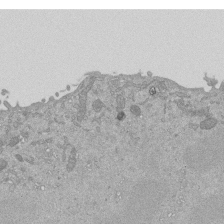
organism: Mouse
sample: ED-1 cell nuclei; centrioles